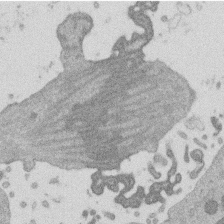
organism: Mouse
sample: Dividing mouse embryo 1 cell stage